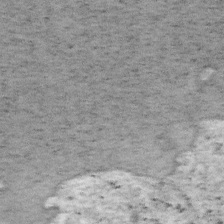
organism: Mouse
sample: OT-I killer T cells with ID8 ovarian cancer cells